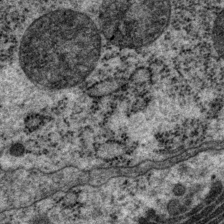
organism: P. pacificus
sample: Pharynx